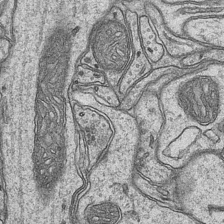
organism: Mouse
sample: CA1 Hippocampus